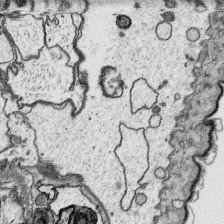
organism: Platynereis dumerilii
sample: Parapodia